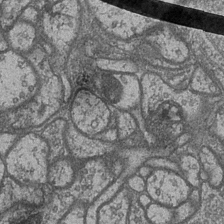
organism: Drosophila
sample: Optic medulla